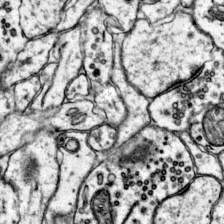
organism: Mouse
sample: Primary visual cortex